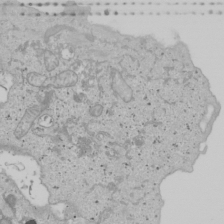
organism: Human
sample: Mitochondria in U2OS cells